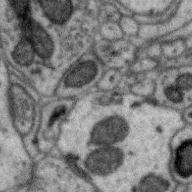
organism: Zebra finch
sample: Brain